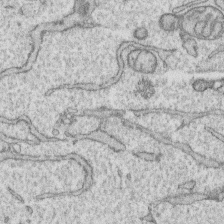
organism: Human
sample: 1205lu cells